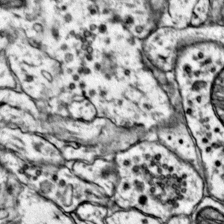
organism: Mouse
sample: Primary visual cortex